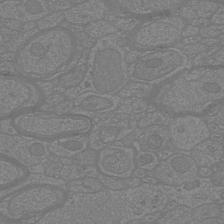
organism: Mouse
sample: Cortical neurons